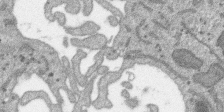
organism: Human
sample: Lung epithelial cells infected with SARS-CoV-2